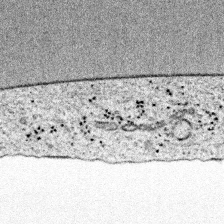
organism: Human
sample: HeLa cells